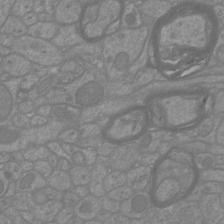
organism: Mouse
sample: Cortical neurons